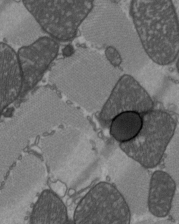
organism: C57BL Mouse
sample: Heart